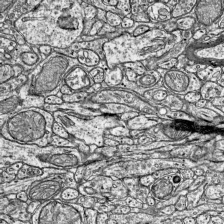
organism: Mouse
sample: Visual Cortex